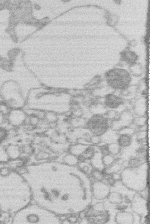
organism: Human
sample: Macrophage cells